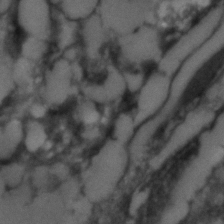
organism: C. elegans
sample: C. elegans embryo